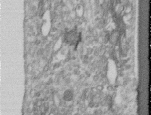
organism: Human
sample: Centriole in RPE cells